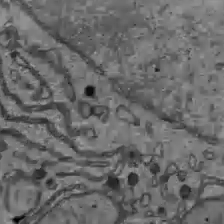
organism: C57BL Mouse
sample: Liver